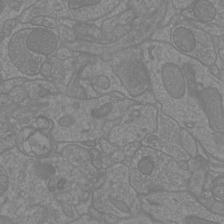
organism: Mouse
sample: Cortical neurons